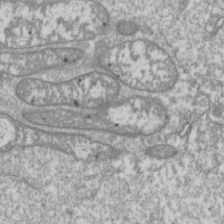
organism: Drosophila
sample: Cell division; meiosis; drosophila spermatocytes